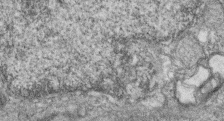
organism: Zebrafish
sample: Cilia; retinal pigment epithelium